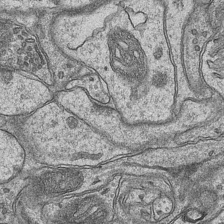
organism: Mouse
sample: CA1 Hippocampus